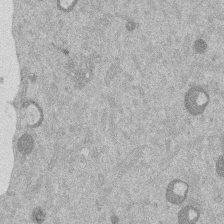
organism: Mouse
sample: Dividing mouse embryo 1 cell stage